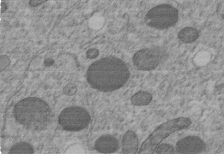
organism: C. elegans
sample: C. elegans embryo early stage